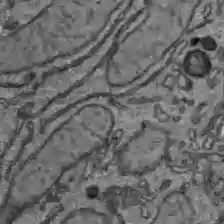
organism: C57BL Mouse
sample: Liver